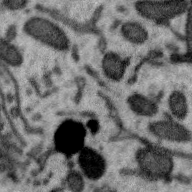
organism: Zebra finch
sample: Brain